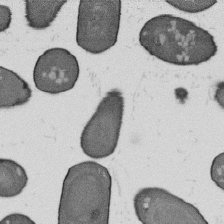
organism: B. subtilis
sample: Bacterial spore